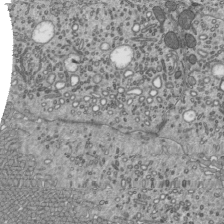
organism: Mouse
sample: Mouse epididymis efferent ductule cilia